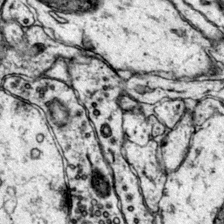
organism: Mouse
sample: Primary visual cortex